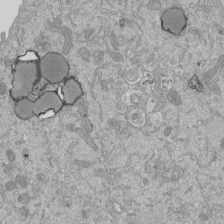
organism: Mouse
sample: ED-1 cell nuclei; centrioles